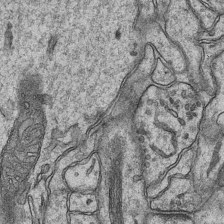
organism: Mouse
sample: CA1 Hippocampus